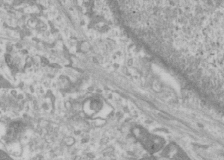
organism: Human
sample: Cilia; basal body in RPE cells